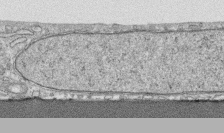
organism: Human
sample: CRL-1474